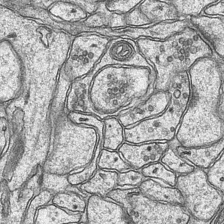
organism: Mouse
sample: CA1 Hippocampus